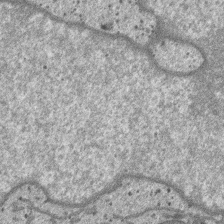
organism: Human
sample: Lung epithelial cells infected with SARS-CoV-2